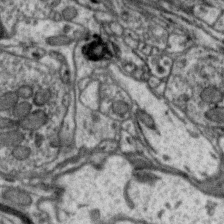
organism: Zebra finch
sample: Brain